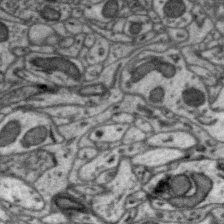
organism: Zebra finch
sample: Brain